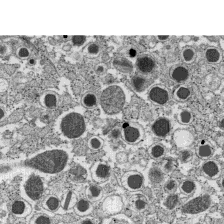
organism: C57BL Mouse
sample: Pancreatic islet